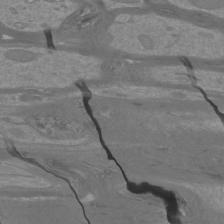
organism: Mouse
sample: Cortical neurons